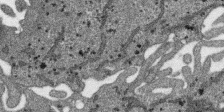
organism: Human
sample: Lung epithelial cells infected with SARS-CoV-2